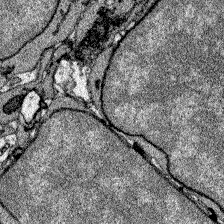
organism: Zebrafish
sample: Larval olfactory bulb